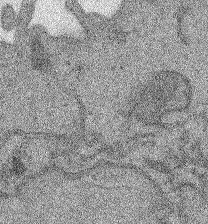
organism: Human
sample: HeLa cells